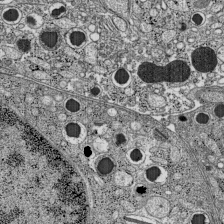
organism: C57BL Mouse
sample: Pancreatic islet